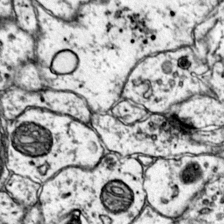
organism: Mouse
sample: Primary visual cortex